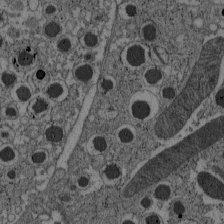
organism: C57BL Mouse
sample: Pancreatic islet